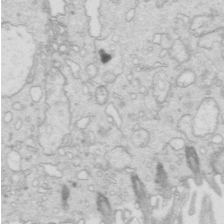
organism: Mouse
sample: Multiciliated cells